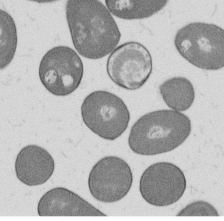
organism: B. subtilis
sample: Bacterial spore